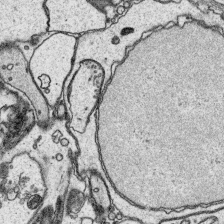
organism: Platynereis dumerilii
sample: Parapodia